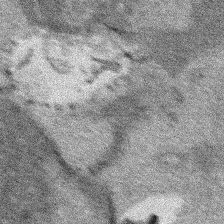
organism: Human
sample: Mitochondria in HCT116 cells